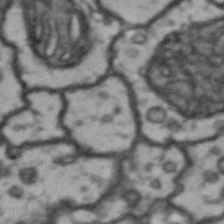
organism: Drosophila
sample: Brain